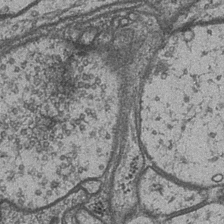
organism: Drosophila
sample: Optic medulla